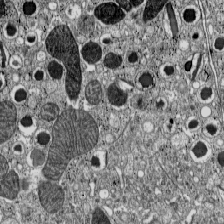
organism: C57BL Mouse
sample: Pancreatic islet